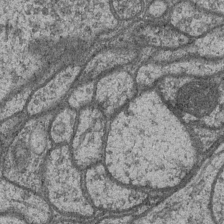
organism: Drosophila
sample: Optic medulla